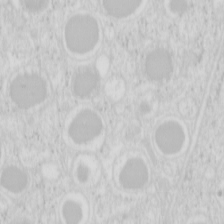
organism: Mouse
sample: Pancreas